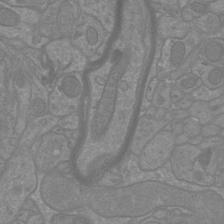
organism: Mouse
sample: Cortical neurons